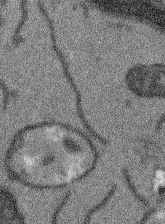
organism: Arabidopsis thaliana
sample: Root tip